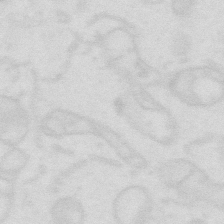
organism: Human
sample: HeLa cells